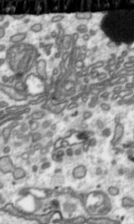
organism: Toxoplasma gondii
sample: Parasites in a vacuole inside a host cell